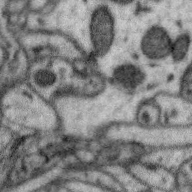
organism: Zebra finch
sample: Brain